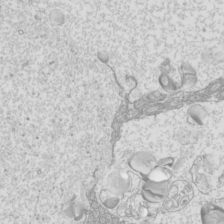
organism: Mouse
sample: Cilia; mouse epididymis